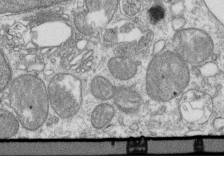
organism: Mouse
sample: Activated OT-1 CD8+ T cells